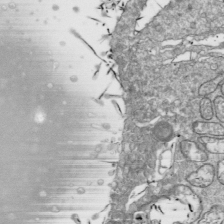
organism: Drosophila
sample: Cell division; meiosis; drosophila spermatocytes